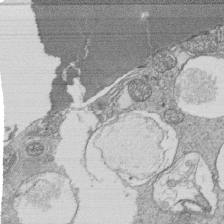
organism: Tetrahymena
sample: Cilia in tetrahymena